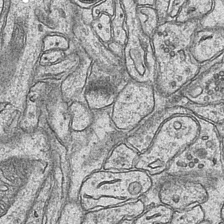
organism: Mouse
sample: CA1 Hippocampus